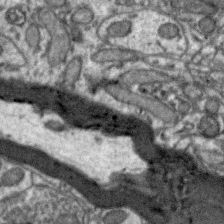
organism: Zebra finch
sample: Brain